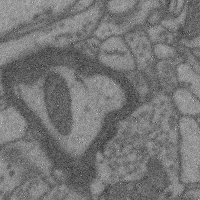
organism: Mouse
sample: Cerebral cortex